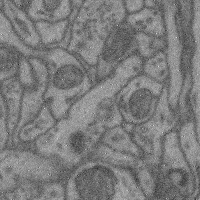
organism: Mouse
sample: Cerebral cortex